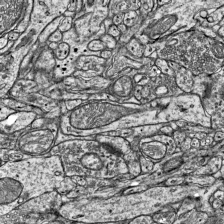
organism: Mouse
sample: Visual Cortex